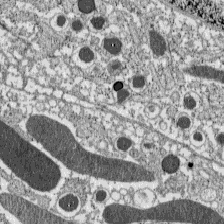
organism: C57BL Mouse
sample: Pancreatic islet